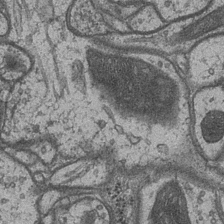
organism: Drosophila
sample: Optic medulla